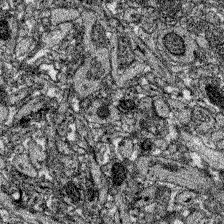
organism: Zebrafish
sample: Larval olfactory bulb